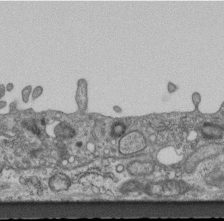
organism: Mouse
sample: Centriole in ependymal cells